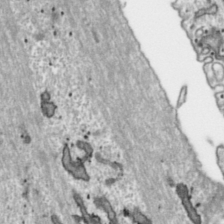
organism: Toxoplasma gondii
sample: Parasites in a vacuole inside a host cell